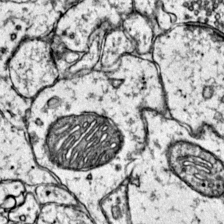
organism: Mouse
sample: Primary visual cortex